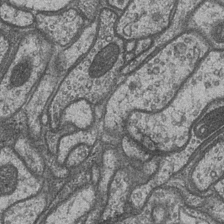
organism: Drosophila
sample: Optic medulla